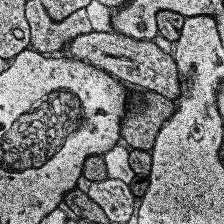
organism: Human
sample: Temporal Lobe